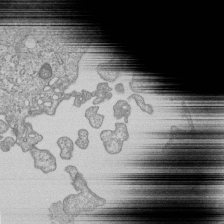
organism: Human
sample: MDA-MB-231 cells